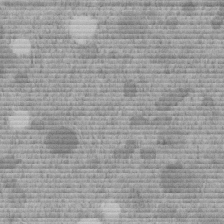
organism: C. elegans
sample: C. elegans embryo early stage